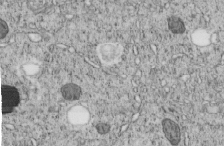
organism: C. elegans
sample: C. elegans embryo early stage